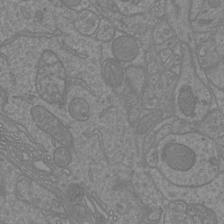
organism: Mouse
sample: Cortical neurons